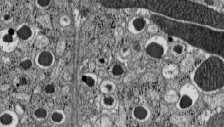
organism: C57BL Mouse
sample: Pancreatic islet